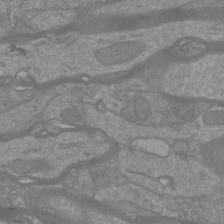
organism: Mouse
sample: Cortical neurons